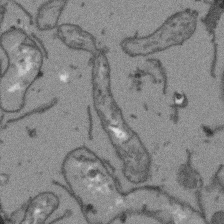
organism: Arabidopsis thaliana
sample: Root tip